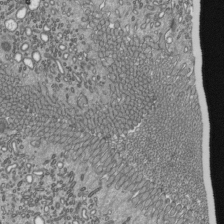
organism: Mouse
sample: Mouse epididymis efferent ductule cilia